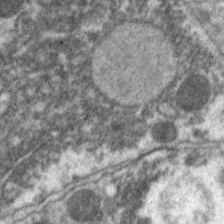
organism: C. elegans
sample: Pharynx